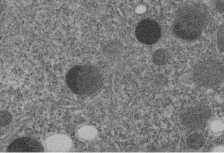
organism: C. elegans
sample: C. elegans embryo early stage